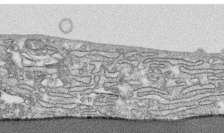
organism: Human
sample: CRL-1474